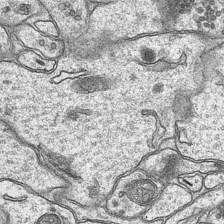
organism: Mouse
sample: CA1 Hippocampus